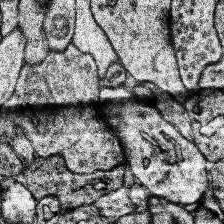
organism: Human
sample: Temporal Lobe